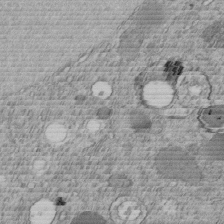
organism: C. elegans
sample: C. elegans embryo early stage